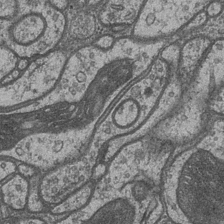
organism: Drosophila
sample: Optic medulla